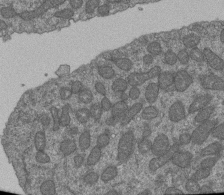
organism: Human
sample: Retinal organoid Rod and Cone cells